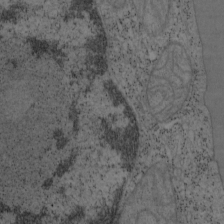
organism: Mouse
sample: OT-I killer T cells with ID8 ovarian cancer cells